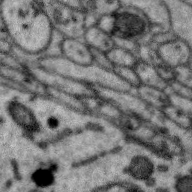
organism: Zebra finch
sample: Brain